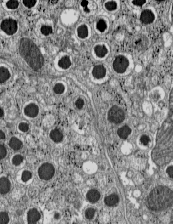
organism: C57BL Mouse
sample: Pancreatic islet